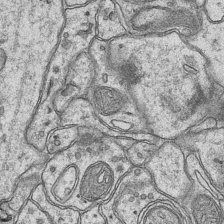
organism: Mouse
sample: CA1 Hippocampus